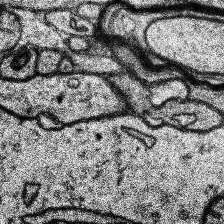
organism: Human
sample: Temporal Lobe